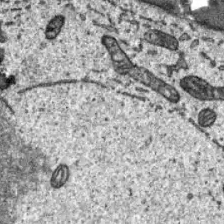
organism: Human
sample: HeLa cells